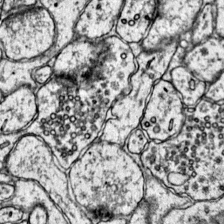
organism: Mouse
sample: Primary visual cortex